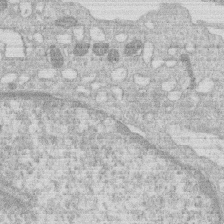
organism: Human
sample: Macrophage cells